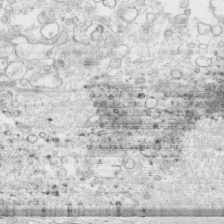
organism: Human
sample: CRL-1474